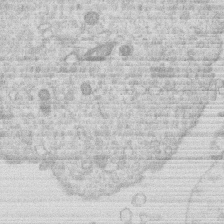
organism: Human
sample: Macrophage cells